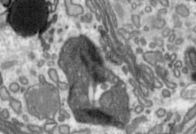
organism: Toxoplasma gondii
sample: Parasites in a vacuole inside a host cell